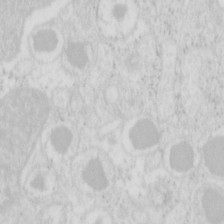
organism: Mouse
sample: Pancreas